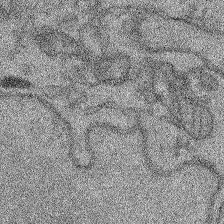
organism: Human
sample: HeLa cells